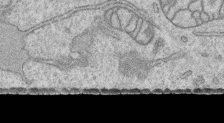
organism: Human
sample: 1205lu cells